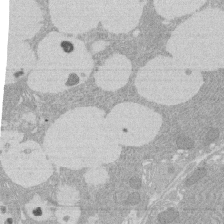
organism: Rat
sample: Salivary granule